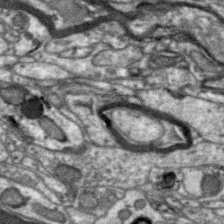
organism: Zebra finch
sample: Brain